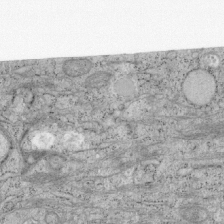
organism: Human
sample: HeLa cells